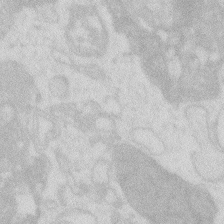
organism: Zebrafish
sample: Macrophage